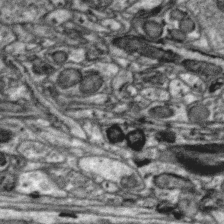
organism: Zebra finch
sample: Brain